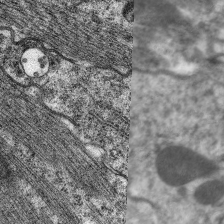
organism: C. elegans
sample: Pharynx